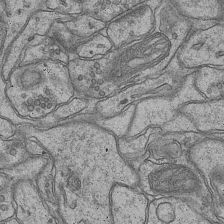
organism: Mouse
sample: CA1 Hippocampus